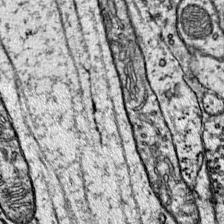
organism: Mouse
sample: Primary visual cortex